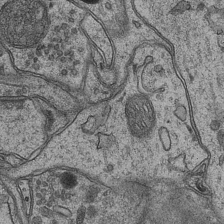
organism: Mouse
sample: CA1 Hippocampus